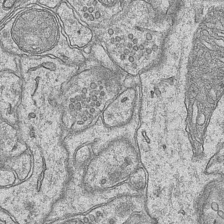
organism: Mouse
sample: CA1 Hippocampus